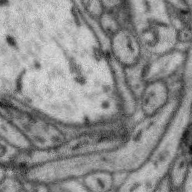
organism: Zebra finch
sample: Brain